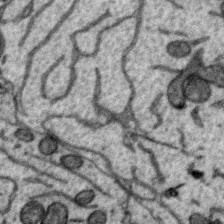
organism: Zebra finch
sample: Brain